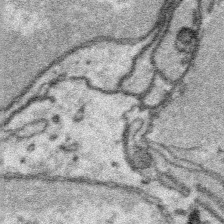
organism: Platynereis dumerilii